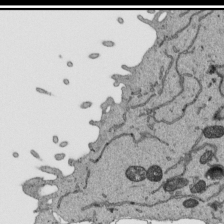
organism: Human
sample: Mitochondria in HCT116 cells